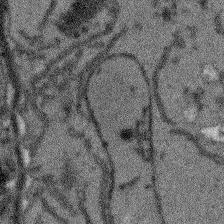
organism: Arabidopsis thaliana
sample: Root tip